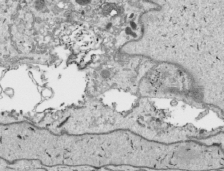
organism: Human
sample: Mitochondria in HCT116 cells